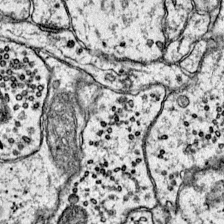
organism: Mouse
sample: Primary visual cortex